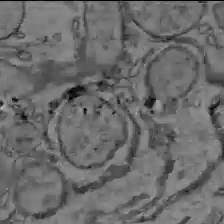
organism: C57BL Mouse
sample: Liver